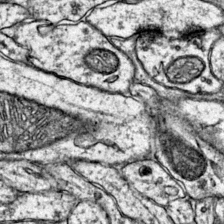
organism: Mouse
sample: Primary visual cortex